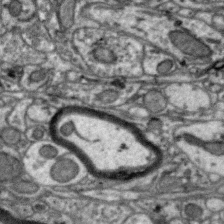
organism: Zebra finch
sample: Brain